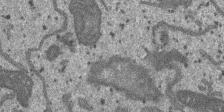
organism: Human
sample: Lung epithelial cells infected with SARS-CoV-2